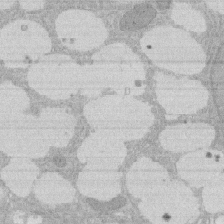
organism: Rat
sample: Salivary granule